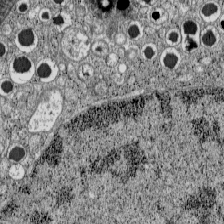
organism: C57BL Mouse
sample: Pancreatic islet